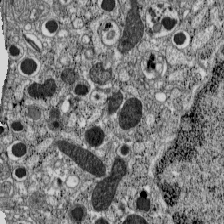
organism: C57BL Mouse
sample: Pancreatic islet